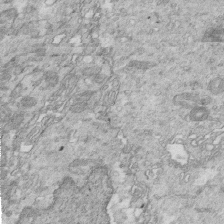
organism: Mouse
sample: Multiciliated cells